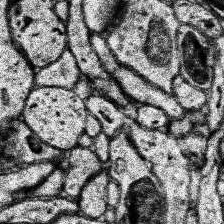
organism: Human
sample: Temporal Lobe